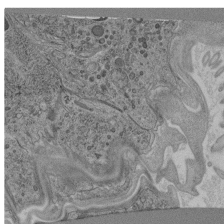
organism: C. elegans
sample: C. elegans pharynx